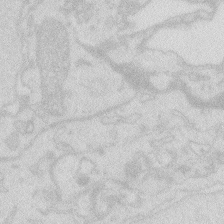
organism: Zebrafish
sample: Macrophage